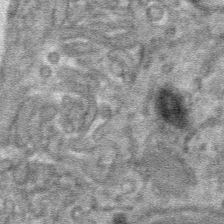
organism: Mouse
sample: Mouse hepatocytes